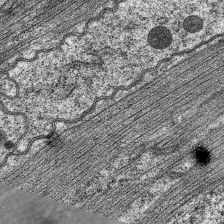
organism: C. elegans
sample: Pharynx